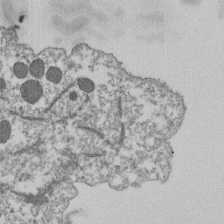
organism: Dictyostelium discoideum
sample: Dictyostelium multivesicular bodies